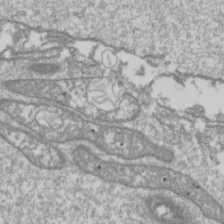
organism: Drosophila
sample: Cell division; meiosis; drosophila spermatocytes